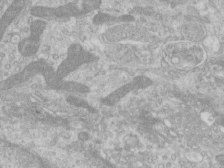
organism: Human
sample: Centriole in RPE cells